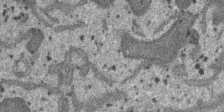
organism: Human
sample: Lung epithelial cells infected with SARS-CoV-2